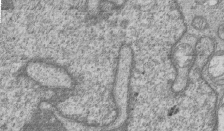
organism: Human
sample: MDA-MB-231 cells